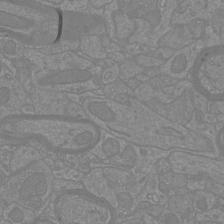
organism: Mouse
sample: Cortical neurons